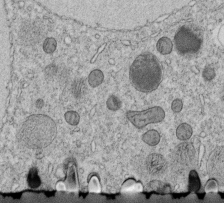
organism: C. elegans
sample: C. elegans embryo early stage